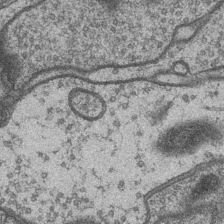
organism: Drosophila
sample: Optic medulla